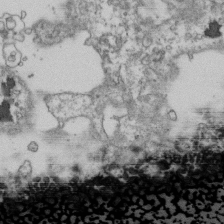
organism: Human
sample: Activated Jurkat CD4+ T cells